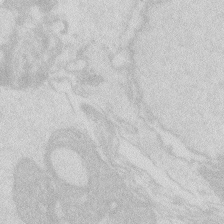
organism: Zebrafish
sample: Macrophage